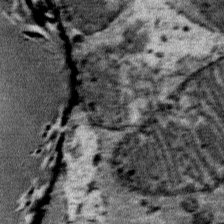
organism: Mouse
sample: Mouse Salivary gland